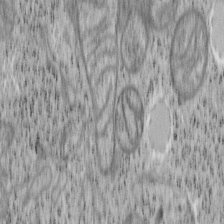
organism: Human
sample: HeLa cells